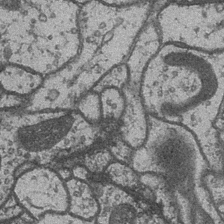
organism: Drosophila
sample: Optic medulla